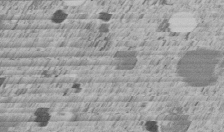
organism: C. elegans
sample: C. elegans embryo early stage